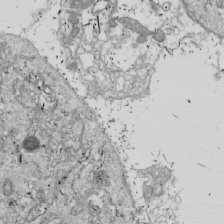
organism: Drosophila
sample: Cell division; meiosis; drosophila spermatocytes